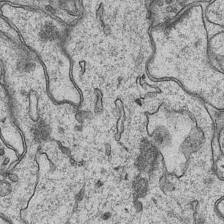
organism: Mouse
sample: CA1 Hippocampus